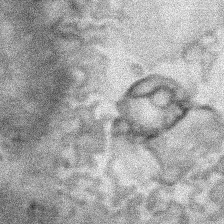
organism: Human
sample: Mitochondria in HCT116 cells